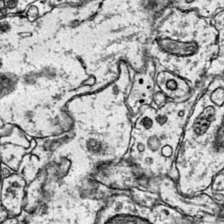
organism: Mouse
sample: Primary visual cortex